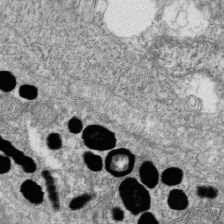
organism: Zebrafish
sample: Cilia; retinal pigment epithelium